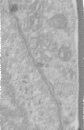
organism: Human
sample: Centriole in RPE cells